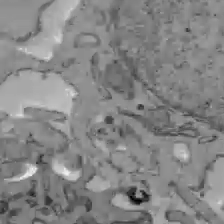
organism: C57BL Mouse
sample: Liver